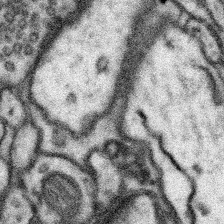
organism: Mouse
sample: Somatosensory cortex neuropil